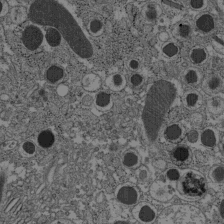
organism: C57BL Mouse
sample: Pancreatic islet